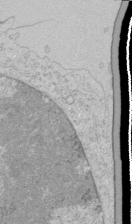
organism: Human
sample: Mitochondria in HCT116 cells